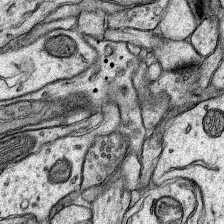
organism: Rat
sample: Hippocampus